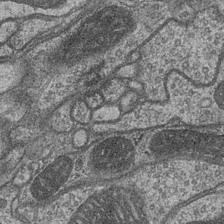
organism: Drosophila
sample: Optic medulla